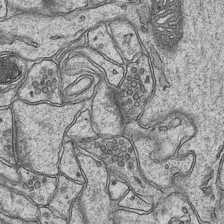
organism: Mouse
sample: CA1 Hippocampus